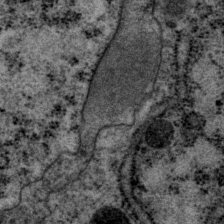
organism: P. pacificus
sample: Pharynx